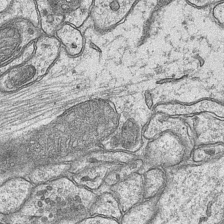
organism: Mouse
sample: CA1 Hippocampus